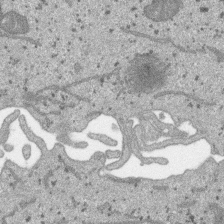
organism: Human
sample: Lung epithelial cells infected with SARS-CoV-2